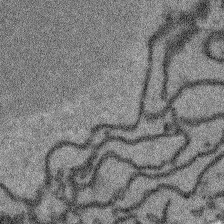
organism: Arabidopsis thaliana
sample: Root tip